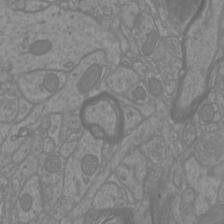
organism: Mouse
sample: Cortical neurons